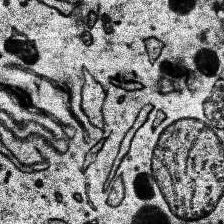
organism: Human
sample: Temporal Lobe